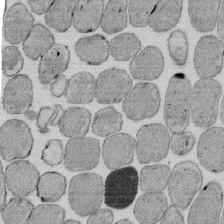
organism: E. coli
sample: Bacterial nucleoid